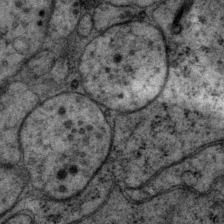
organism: P. pacificus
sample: Pharynx